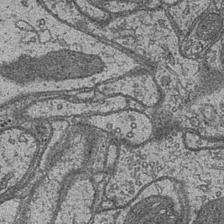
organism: Drosophila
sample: Optic medulla